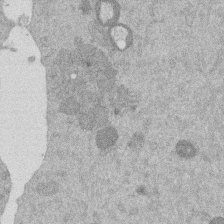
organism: Mouse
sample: Dividing mouse embryo 1 cell stage